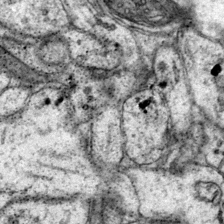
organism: Mouse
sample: Primary visual cortex